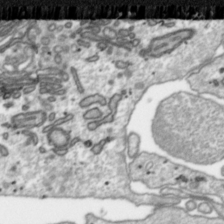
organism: Toxoplasma gondii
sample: Parasites in a vacuole inside a host cell